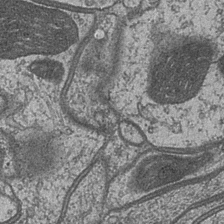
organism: Drosophila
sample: Optic medulla